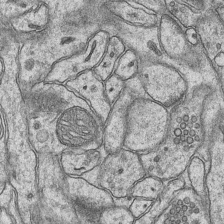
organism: Mouse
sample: CA1 Hippocampus